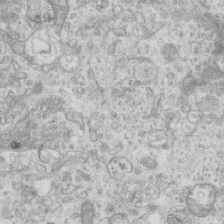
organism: Mouse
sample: Centriole in ependymal cells